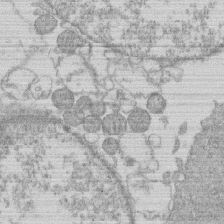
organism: Human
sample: Macrophage cells